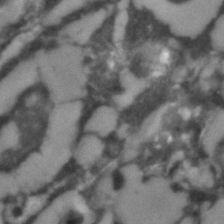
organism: C. elegans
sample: C. elegans embryo